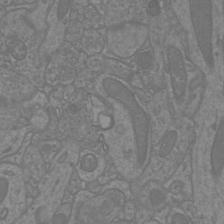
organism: Mouse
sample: Cortical neurons